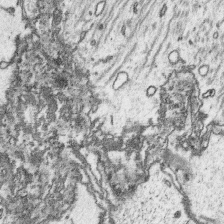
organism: Platynereis dumerilii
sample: Parapodia